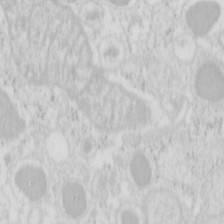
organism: Mouse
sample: Pancreas